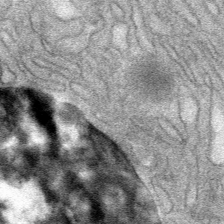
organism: Mouse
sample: Mouse Salivary gland